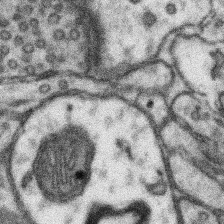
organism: Mouse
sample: Somatosensory cortex neuropil